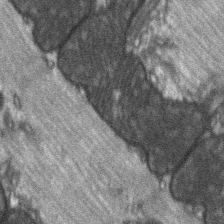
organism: C57BL Mouse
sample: Soleus